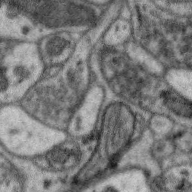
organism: Zebra finch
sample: Brain